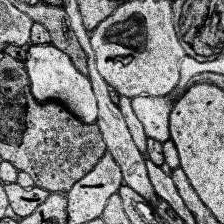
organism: Human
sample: Temporal Lobe